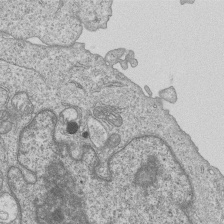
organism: Human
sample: MDA-MB-231 cells